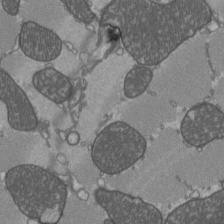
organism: C57BL Mouse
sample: Heart